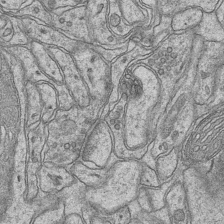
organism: Mouse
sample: CA1 Hippocampus